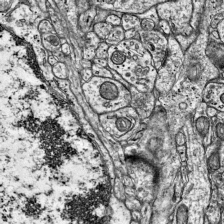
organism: Mouse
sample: Visual Cortex